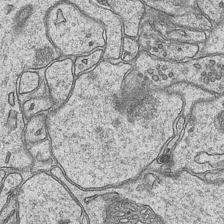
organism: Mouse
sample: CA1 Hippocampus